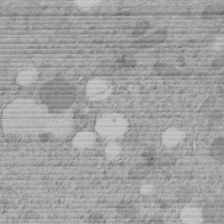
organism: C. elegans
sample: C. elegans embryo early stage